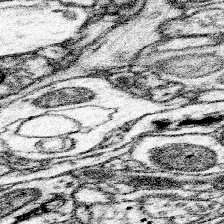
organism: Mouse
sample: Somatosensory cortex neuropil